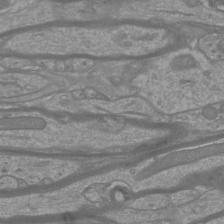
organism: Mouse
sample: Cortical neurons